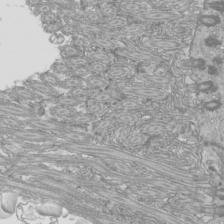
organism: Mouse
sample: Cilia; mouse epididymis